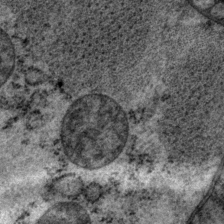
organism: P. pacificus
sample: Pharynx